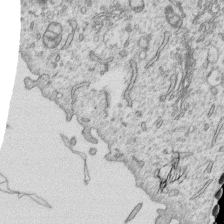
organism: Human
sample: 1205lu cells